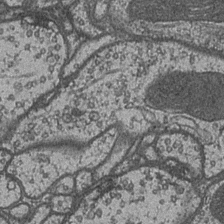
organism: Drosophila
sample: Optic medulla